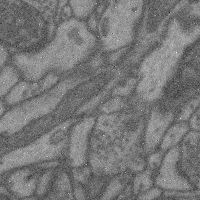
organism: Mouse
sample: Cerebral cortex